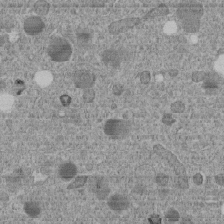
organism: C. elegans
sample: C. elegans embryo early stage